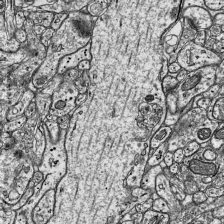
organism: Mouse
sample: Visual Cortex